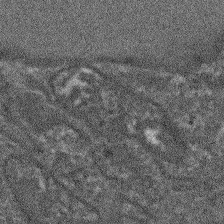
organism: Arabidopsis thaliana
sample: Root tip